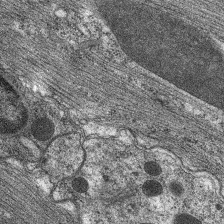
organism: C. elegans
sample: Pharynx